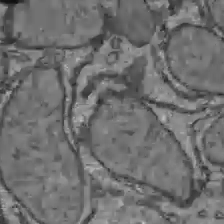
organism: C57BL Mouse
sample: Liver